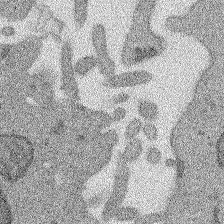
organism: Human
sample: HeLa cells